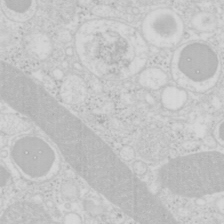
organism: Mouse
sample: Pancreas